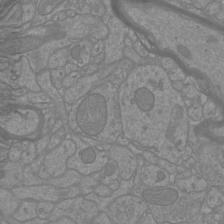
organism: Mouse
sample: Cortical neurons